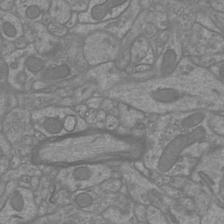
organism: Mouse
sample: Cortical neurons